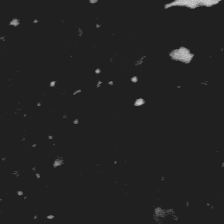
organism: Platynereis dumerilii